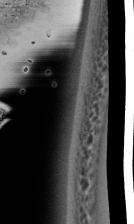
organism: Human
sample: Mitochondria in HCT116 cells